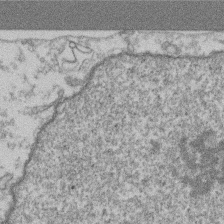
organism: Mouse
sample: T cell stromal cell synapse